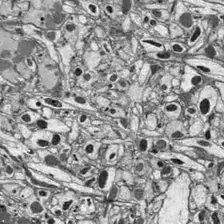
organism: Drosophila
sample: Optic lobe